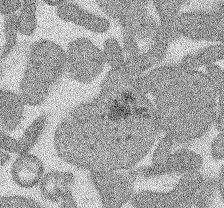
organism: Human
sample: HeLa cells